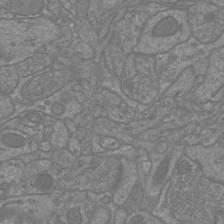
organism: Mouse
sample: Cortical neurons